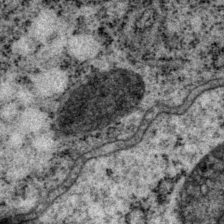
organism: P. pacificus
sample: Pharynx